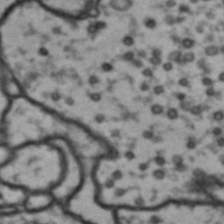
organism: Drosophila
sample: Brain